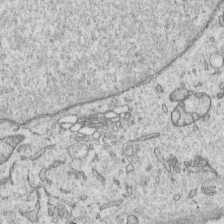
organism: Human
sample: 1205lu cells